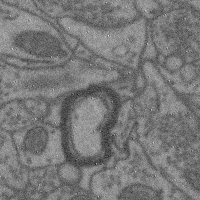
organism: Mouse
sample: Cerebral cortex